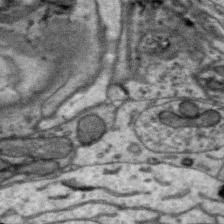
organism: Zebra finch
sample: Brain